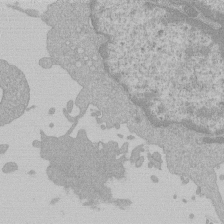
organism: Mouse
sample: Activated Pmel transgenic CD8+ T Cells